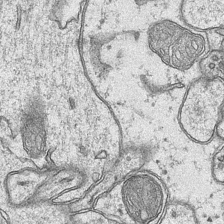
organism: Mouse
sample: CA1 Hippocampus